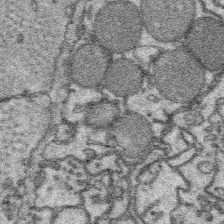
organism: Platynereis dumerilii